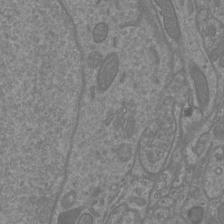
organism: Mouse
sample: Cortical neurons